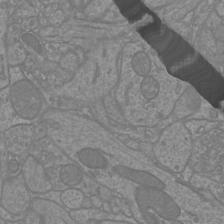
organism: Mouse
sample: Cortical neurons